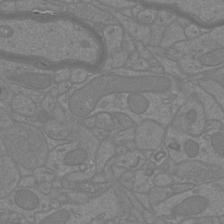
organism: Mouse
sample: Cortical neurons